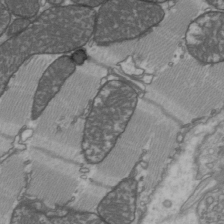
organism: C57BL Mouse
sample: Heart